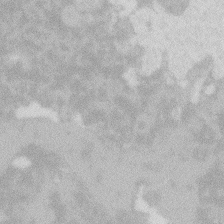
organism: Zebrafish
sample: Macrophage